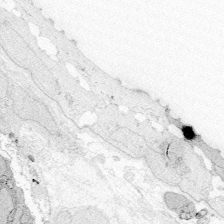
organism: Zebrafish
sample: Whole-Brain